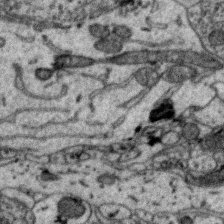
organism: Zebra finch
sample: Brain